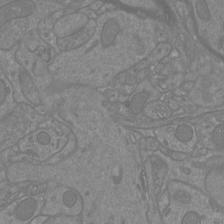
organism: Mouse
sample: Cortical neurons